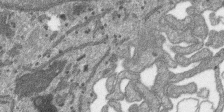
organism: Human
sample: Lung epithelial cells infected with SARS-CoV-2